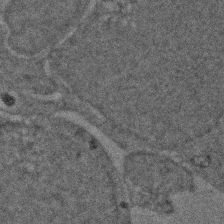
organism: Zebrafish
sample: Zebrafish embryo